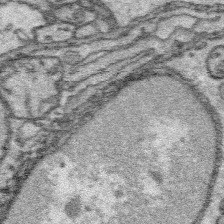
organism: Platynereis dumerilii